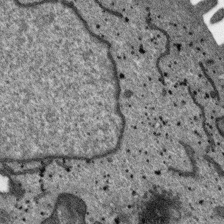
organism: Human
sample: Lung epithelial cells, uninfected (mock) control